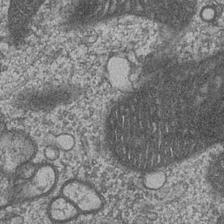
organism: Drosophila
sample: Optic medulla